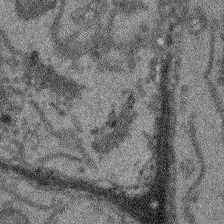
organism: Arabidopsis thaliana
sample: Root tip